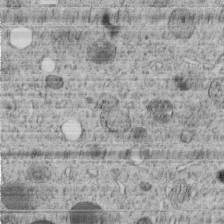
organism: C. elegans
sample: C. elegans embryo early stage